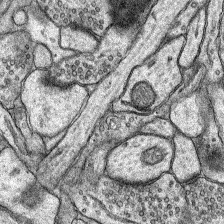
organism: Rat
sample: Hippocampus